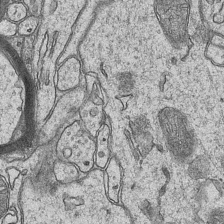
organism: Mouse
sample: CA1 Hippocampus